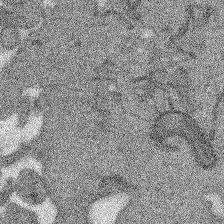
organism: Human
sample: HeLa cells